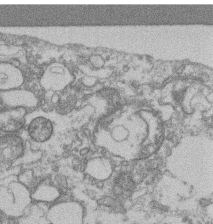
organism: Mouse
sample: T cell stromal cell synapse